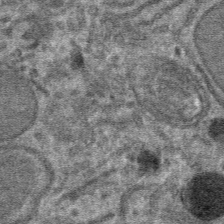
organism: Mouse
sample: Mouse hepatocytes